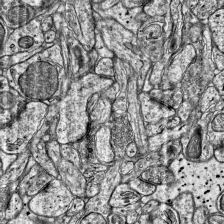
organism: Mouse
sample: Visual Cortex